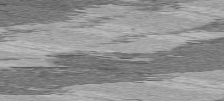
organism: C57BL Mouse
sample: Heart